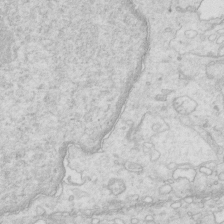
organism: Mouse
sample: Multiciliated cells